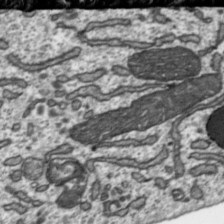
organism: Toxoplasma gondii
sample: Parasites in a vacuole inside a host cell